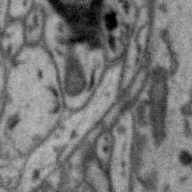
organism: Zebra finch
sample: Brain